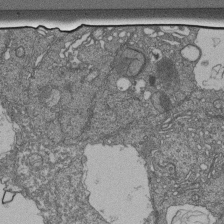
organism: Human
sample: Retinal organoid Rod and Cone cells